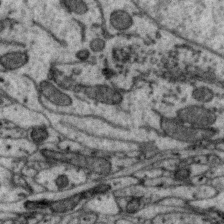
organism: Zebra finch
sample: Brain